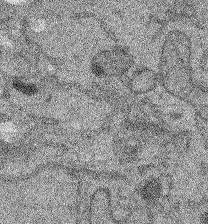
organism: Human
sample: HeLa cells